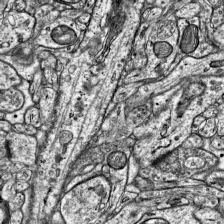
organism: Mouse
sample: Visual Cortex